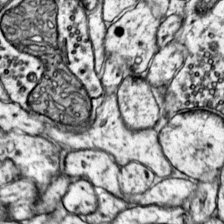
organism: Mouse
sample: Primary visual cortex